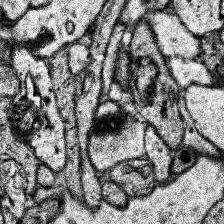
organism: Human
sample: Temporal Lobe